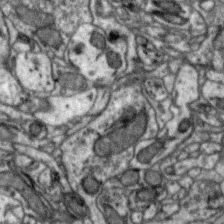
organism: Zebra finch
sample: Brain